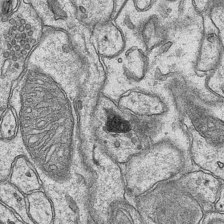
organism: Mouse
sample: CA1 Hippocampus